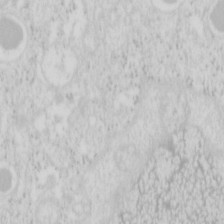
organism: Mouse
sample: Pancreas